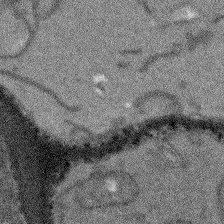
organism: Arabidopsis thaliana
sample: Root tip